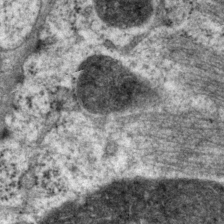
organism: P. pacificus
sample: Pharynx